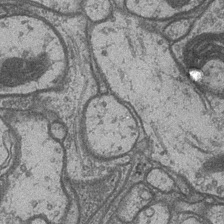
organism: Drosophila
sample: Optic medulla